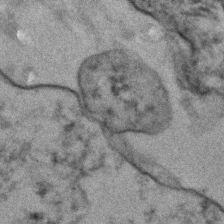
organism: Human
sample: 1205lu cells